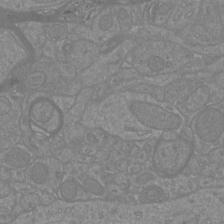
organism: Mouse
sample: Cortical neurons